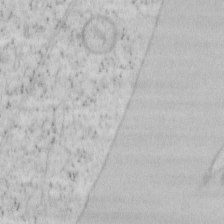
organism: Human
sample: HeLa cells